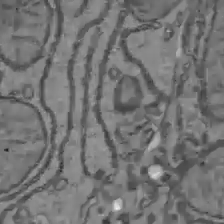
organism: C57BL Mouse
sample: Liver